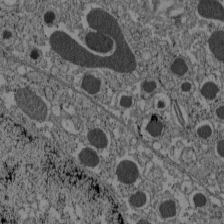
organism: C57BL Mouse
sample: Pancreatic islet